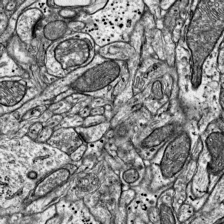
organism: Mouse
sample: Visual Cortex